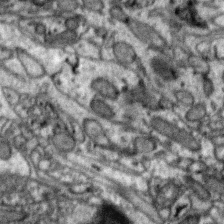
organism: Zebra finch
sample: Brain